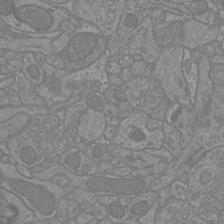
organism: Mouse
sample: Cortical neurons